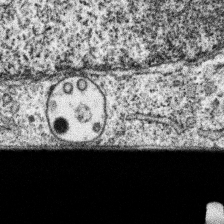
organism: Human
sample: HeLa cells